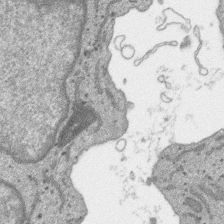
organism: Human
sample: Lung epithelial cells infected with SARS-CoV-2